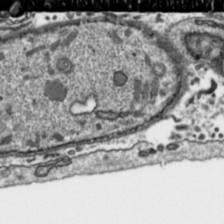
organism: Toxoplasma gondii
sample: Parasites in a vacuole inside a host cell